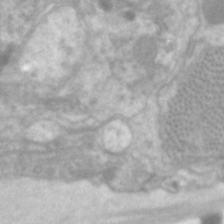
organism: C. elegans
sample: Pharynx